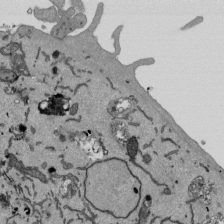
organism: Mouse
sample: ED-1 cell nuclei; centrioles